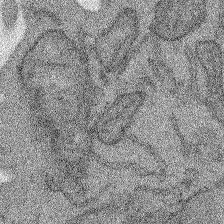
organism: Human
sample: HeLa cells